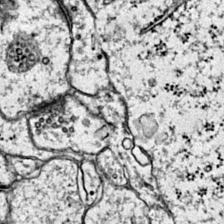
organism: Mouse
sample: Primary visual cortex